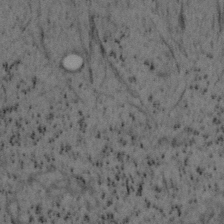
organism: Human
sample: HeLa cells